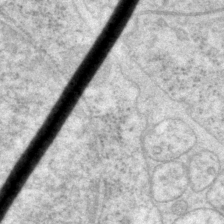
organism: P. pacificus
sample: Pharynx